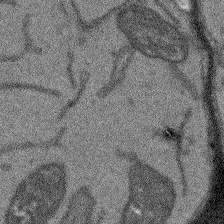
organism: Arabidopsis thaliana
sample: Root tip